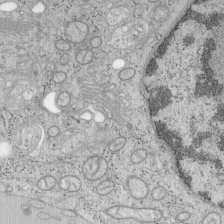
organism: Mouse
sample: OT-I killer T cells with ID8 ovarian cancer cells